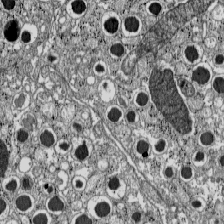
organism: C57BL Mouse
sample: Pancreatic islet